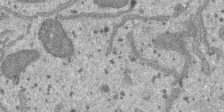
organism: Human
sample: Lung epithelial cells infected with SARS-CoV-2